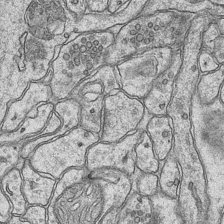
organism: Mouse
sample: CA1 Hippocampus